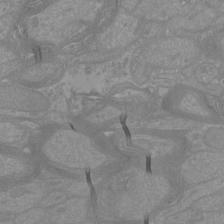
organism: Mouse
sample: Cortical neurons